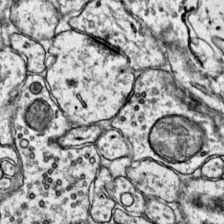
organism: Mouse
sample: Primary visual cortex